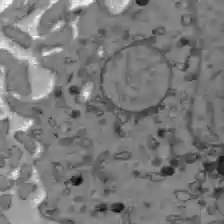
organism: C57BL Mouse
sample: Liver